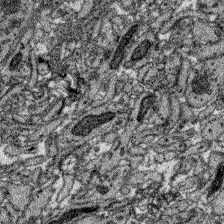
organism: Zebrafish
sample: Larval olfactory bulb